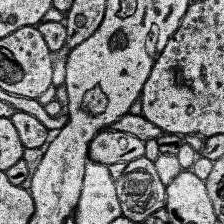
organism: Human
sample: Temporal Lobe